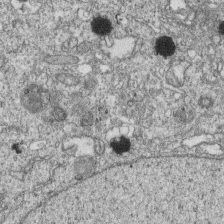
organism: Human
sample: HeLa cell HIV synapse